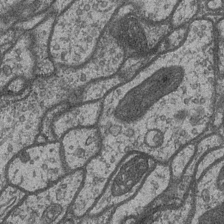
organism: Drosophila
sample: Optic medulla